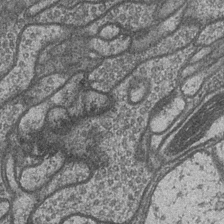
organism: Drosophila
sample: Optic medulla